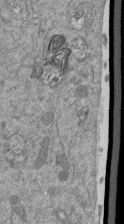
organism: Mouse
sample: ED-1 cell nuclei; centrioles